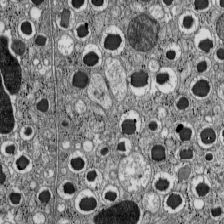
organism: C57BL Mouse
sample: Pancreatic islet